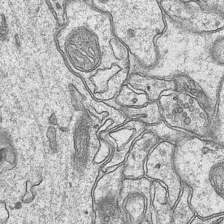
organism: Mouse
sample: CA1 Hippocampus